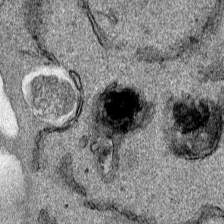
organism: Human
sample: Mitochondria in HCT116 cells